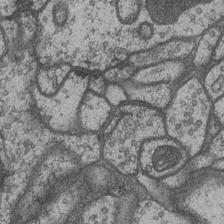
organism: Drosophila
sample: Optic medulla